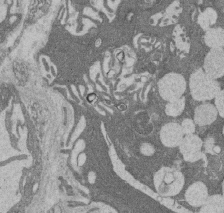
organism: Rat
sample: Salivary granule